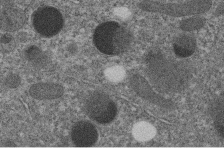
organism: C. elegans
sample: C. elegans embryo early stage